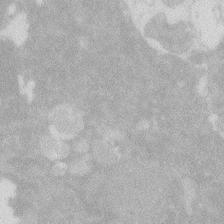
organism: Zebrafish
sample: Macrophage